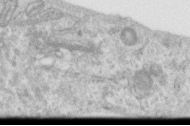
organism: Human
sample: Centriole in RPE cells